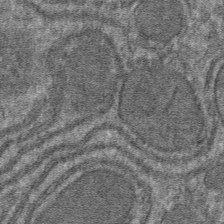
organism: Mouse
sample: Mouse hepatocytes